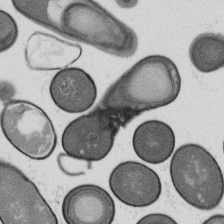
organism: B. subtilis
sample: Bacterial spore